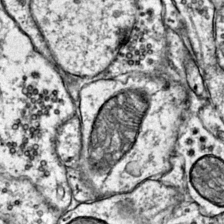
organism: Mouse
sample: Primary visual cortex